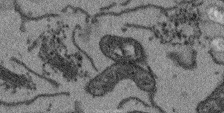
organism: Arabidopsis thaliana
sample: Root tip